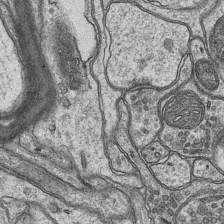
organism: Mouse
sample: CA1 Hippocampus